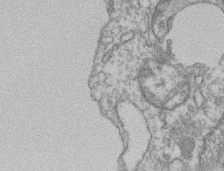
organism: Mouse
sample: T cell stromal cell synapse